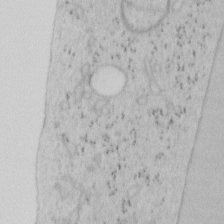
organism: Human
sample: HeLa cells